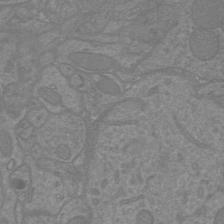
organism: Mouse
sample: Cortical neurons